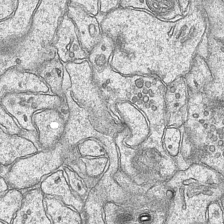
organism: Mouse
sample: CA1 Hippocampus